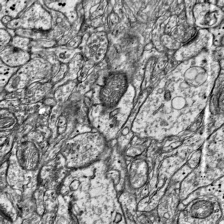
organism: Mouse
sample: Visual Cortex